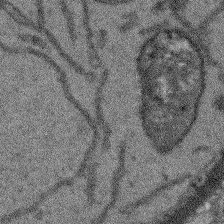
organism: Arabidopsis thaliana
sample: Root tip